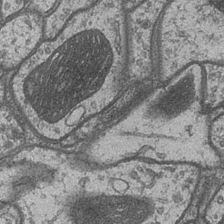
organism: Drosophila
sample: Optic medulla